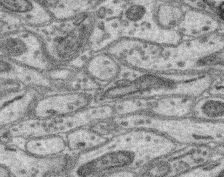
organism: Mouse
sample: Retina